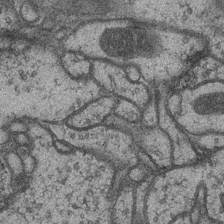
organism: Drosophila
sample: Optic medulla